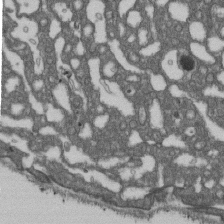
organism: Drosophila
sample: Nephrocyte